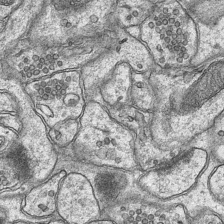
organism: Mouse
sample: CA1 Hippocampus